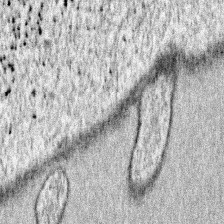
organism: Human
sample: HeLa cells